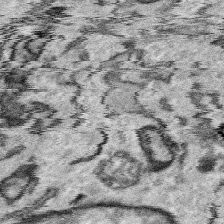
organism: Human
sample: HeLa cells